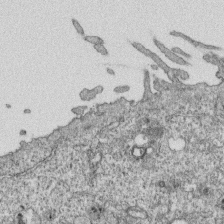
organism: Human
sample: HeLa cell HIV synapse